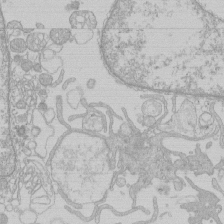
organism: Human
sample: Macrophage cells